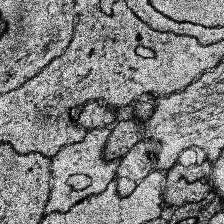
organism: Human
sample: Temporal Lobe